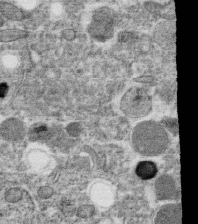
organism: C. elegans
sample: C. elegans oocyte; sperm cells